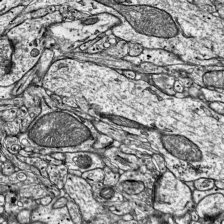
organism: Mouse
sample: Visual Cortex